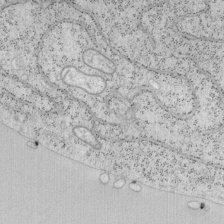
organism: Mouse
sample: OT-I killer T cells with ID8 ovarian cancer cells